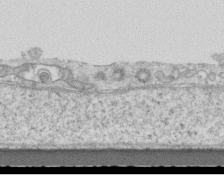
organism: Mouse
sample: Centriole in ependymal cells